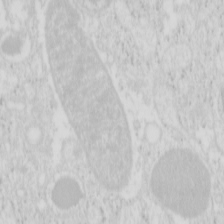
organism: Mouse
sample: Pancreas